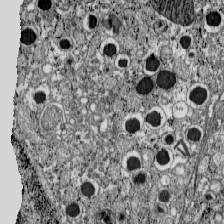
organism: C57BL Mouse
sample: Pancreatic islet